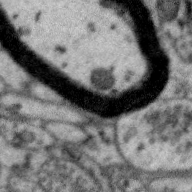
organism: Zebra finch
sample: Brain